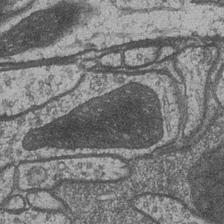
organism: Drosophila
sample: Optic medulla